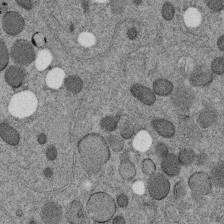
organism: C. elegans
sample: C. elegans embryo early stage